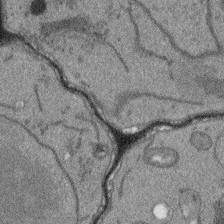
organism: Arabidopsis thaliana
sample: Root tip